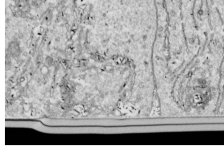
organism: Drosophila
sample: Cell division; meiosis; drosophila spermatocytes